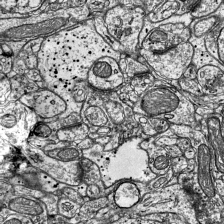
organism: Mouse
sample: Visual Cortex